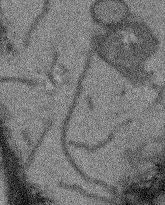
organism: Arabidopsis thaliana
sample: Root tip